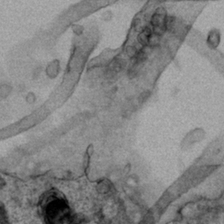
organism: Human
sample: Mitochondria in HCT116 cells